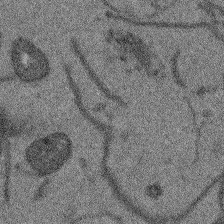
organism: Arabidopsis thaliana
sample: Root tip